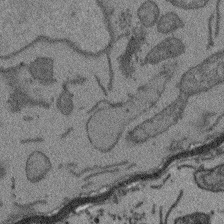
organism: Arabidopsis thaliana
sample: Root tip